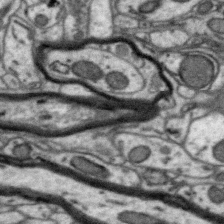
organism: Zebra finch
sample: Brain